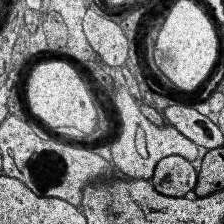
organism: Human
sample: Temporal Lobe